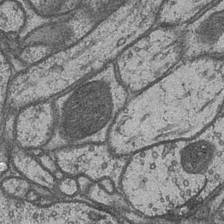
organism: Drosophila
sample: Optic medulla